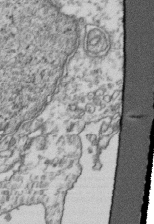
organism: Human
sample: Activated Jurkat CD4+ T cells